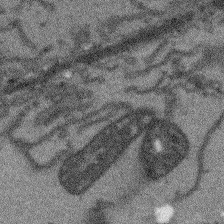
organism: Arabidopsis thaliana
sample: Root tip